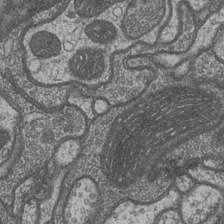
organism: Drosophila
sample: Optic medulla